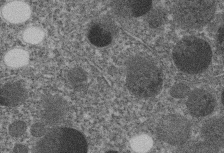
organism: C. elegans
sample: C. elegans embryo early stage